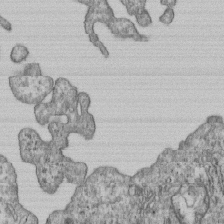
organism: Human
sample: MDA-MB-231 cells